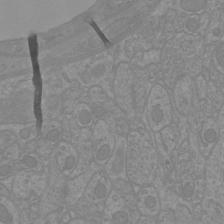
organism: Mouse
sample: Cortical neurons